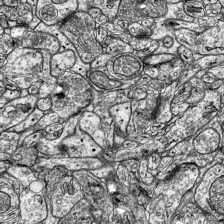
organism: Mouse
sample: Visual Cortex